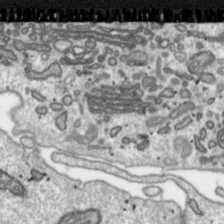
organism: Toxoplasma gondii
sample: Parasites in a vacuole inside a host cell